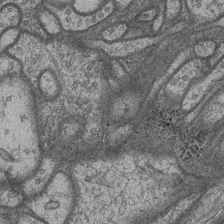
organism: Drosophila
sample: Optic medulla